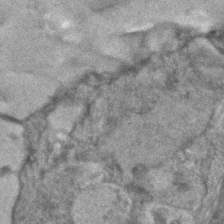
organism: Human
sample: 1205lu cells